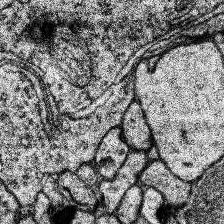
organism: Human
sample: Temporal Lobe